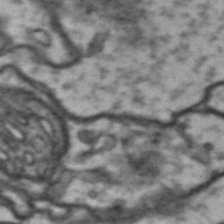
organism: Drosophila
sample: Brain